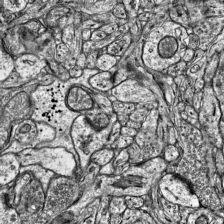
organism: Mouse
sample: Visual Cortex